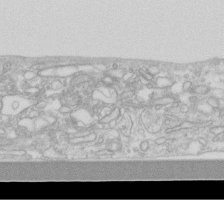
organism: Human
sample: Fibroblast cells